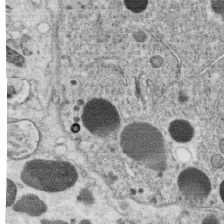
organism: C. elegans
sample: C. elegans oocyte; sperm cells